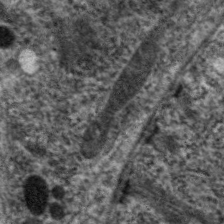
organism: C. elegans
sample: Pharynx